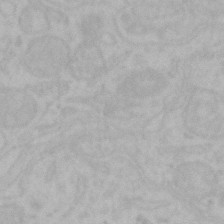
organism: Mouse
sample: Choroid plexus